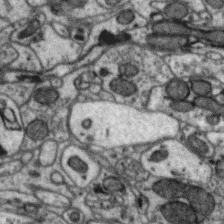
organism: Zebra finch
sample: Brain